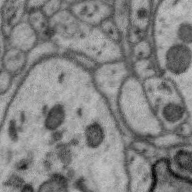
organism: Zebra finch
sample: Brain